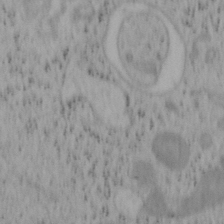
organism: Mouse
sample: OT-I killer T cells with ID8 ovarian cancer cells